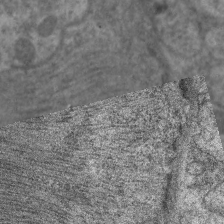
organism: C. elegans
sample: Pharynx